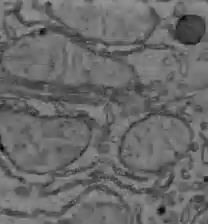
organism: C57BL Mouse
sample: Liver